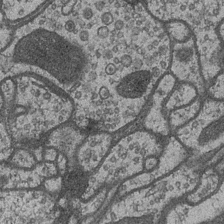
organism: Drosophila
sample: Optic medulla